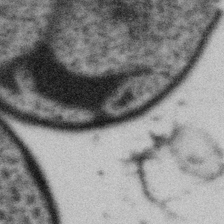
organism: Gemmata obscuriglobus